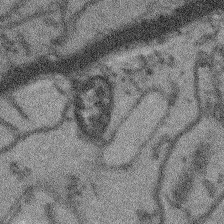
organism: Arabidopsis thaliana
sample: Root tip